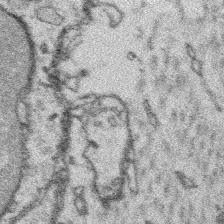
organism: Platynereis dumerilii